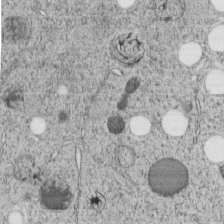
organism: C. elegans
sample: C. elegans embryo early stage